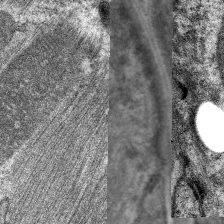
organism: C. elegans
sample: Pharynx